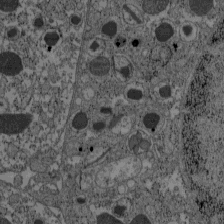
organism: C57BL Mouse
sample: Pancreatic islet